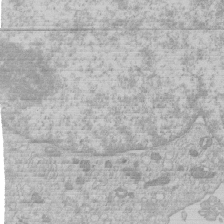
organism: Human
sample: Macrophage cells